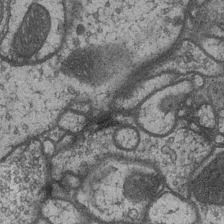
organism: Drosophila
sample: Optic medulla